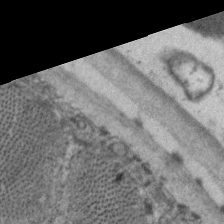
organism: C. elegans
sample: Pharynx